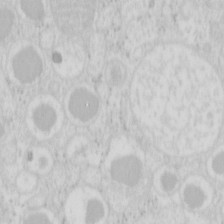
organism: Mouse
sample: Pancreas